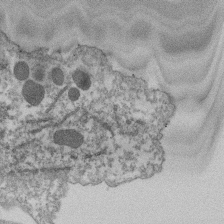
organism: Dictyostelium discoideum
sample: Dictyostelium multivesicular bodies